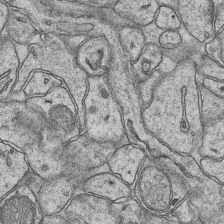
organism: Mouse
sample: CA1 Hippocampus